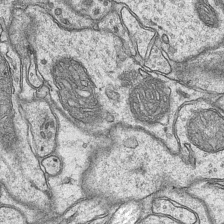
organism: Mouse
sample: CA1 Hippocampus